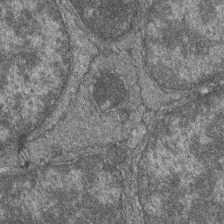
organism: Zebrafish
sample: Cilia; retinal pigment epithelium